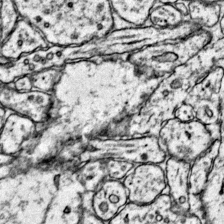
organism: Mouse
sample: Primary visual cortex